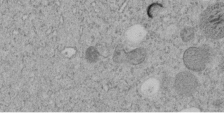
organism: C. elegans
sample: C. elegans embryo early stage